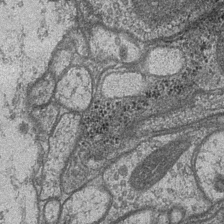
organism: Drosophila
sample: Optic medulla